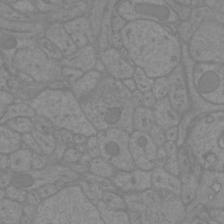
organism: Mouse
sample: Cortical neurons